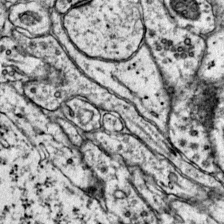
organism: Mouse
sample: Primary visual cortex